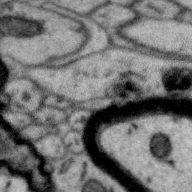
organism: Zebra finch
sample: Brain